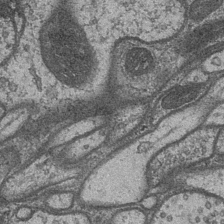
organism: Drosophila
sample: Optic medulla